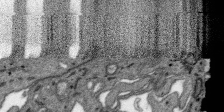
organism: Human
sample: Lung epithelial cells, uninfected (mock) control